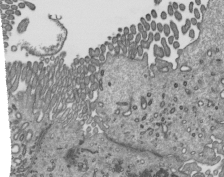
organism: Mouse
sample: Mouse epididymis efferent ductule cilia